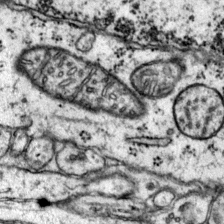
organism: Mouse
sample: Primary visual cortex